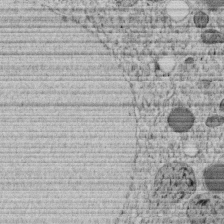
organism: C. elegans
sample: C. elegans embryo early stage